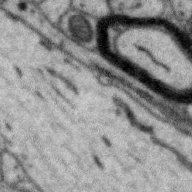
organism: Zebra finch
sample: Brain